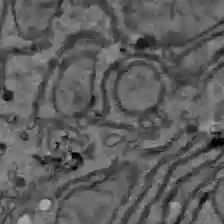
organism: C57BL Mouse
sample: Liver